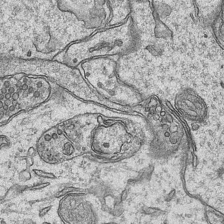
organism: Mouse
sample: CA1 Hippocampus